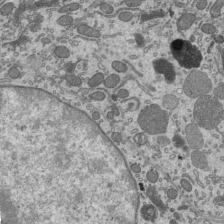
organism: Mouse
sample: Mouse epididymis efferent ductule cilia